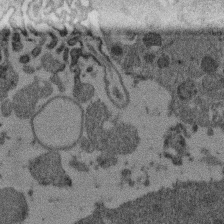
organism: Mouse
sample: Dividing mouse embryo 1 cell stage